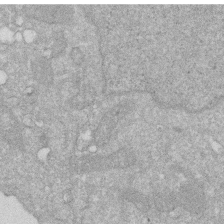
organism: Human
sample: HIV infected U937 cells